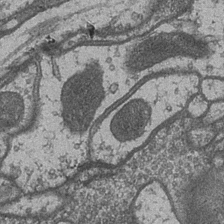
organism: Drosophila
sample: Optic medulla